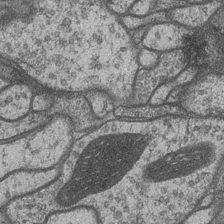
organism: Drosophila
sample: Optic medulla